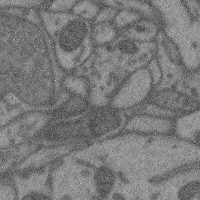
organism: Mouse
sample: Cerebral cortex